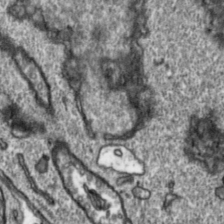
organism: Toxoplasma gondii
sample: Parasites in a vacuole inside a host cell